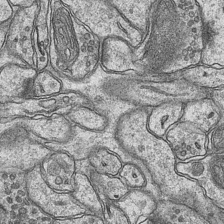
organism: Mouse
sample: CA1 Hippocampus